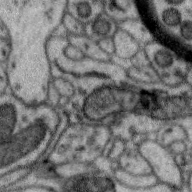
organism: Zebra finch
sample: Brain